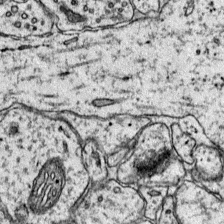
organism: Mouse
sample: Primary visual cortex